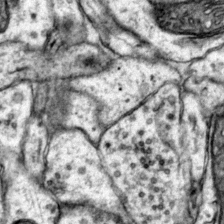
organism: Mouse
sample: Primary visual cortex